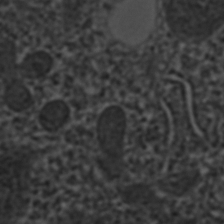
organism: C. elegans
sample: C. elegans embryo